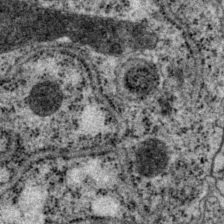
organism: P. pacificus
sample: Pharynx